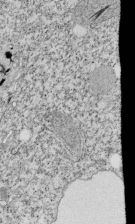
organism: Tetrahymena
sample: Cilia in tetrahymena